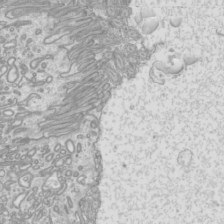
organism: Mouse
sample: Cilia; mouse epididymis